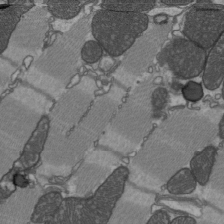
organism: C57BL Mouse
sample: Heart